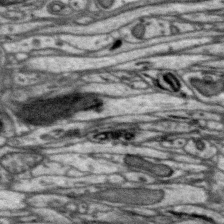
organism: Zebra finch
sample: Brain